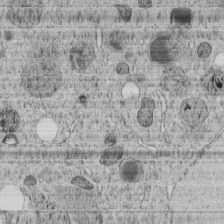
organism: C. elegans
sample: C. elegans embryo early stage